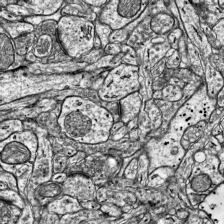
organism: Mouse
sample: Visual Cortex